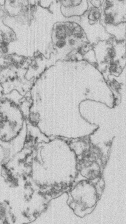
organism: Human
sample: HeLa cell HIV synapse